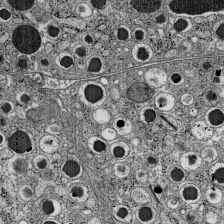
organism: C57BL Mouse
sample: Pancreatic islet